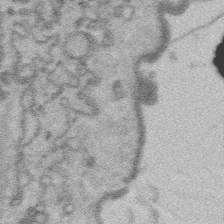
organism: Platynereis dumerilii